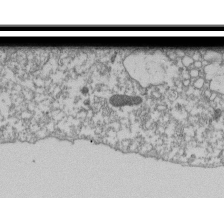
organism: Dictyostelium discoideum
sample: Dictyostelium multivesicular bodies